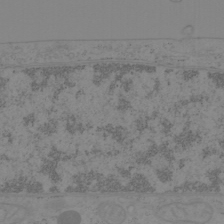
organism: Human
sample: HeLa cells